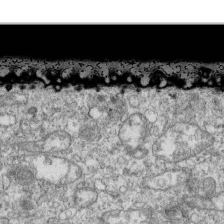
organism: Human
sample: HeLa cell HIV synapse